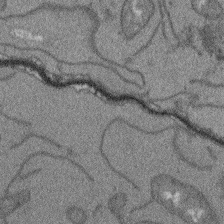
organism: Arabidopsis thaliana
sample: Root tip